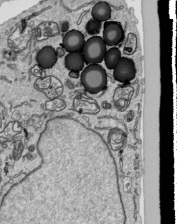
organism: Human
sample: Mitochondria in HCT116 cells